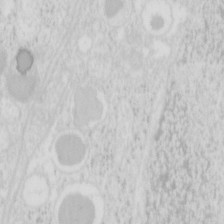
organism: Mouse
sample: Pancreas